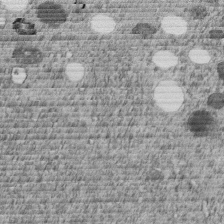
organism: C. elegans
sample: C. elegans embryo early stage